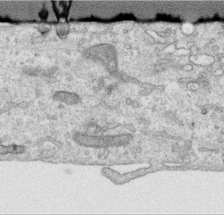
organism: Human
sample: Centriole in RPE cells